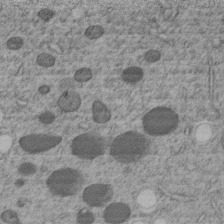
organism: C. elegans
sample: C. elegans embryo early stage